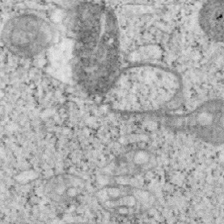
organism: Mouse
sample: OT-I killer T cells with ID8 ovarian cancer cells